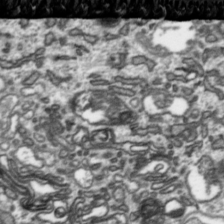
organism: Toxoplasma gondii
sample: Parasites in a vacuole inside a host cell